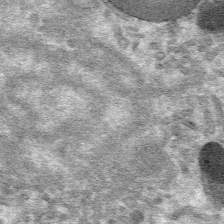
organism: Mouse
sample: Mouse hepatocytes